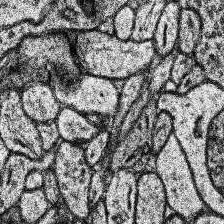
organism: Human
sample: Temporal Lobe